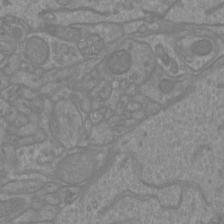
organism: Mouse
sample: Cortical neurons